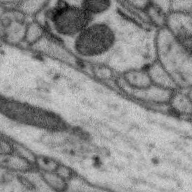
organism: Zebra finch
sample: Brain